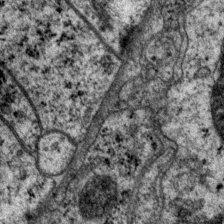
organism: P. pacificus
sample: Pharynx